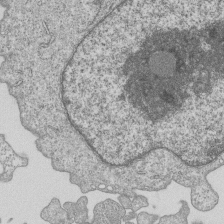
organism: Human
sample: MDA-MB-231 cells